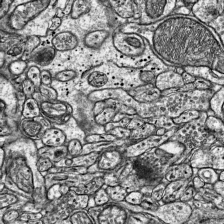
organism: Mouse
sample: Visual Cortex